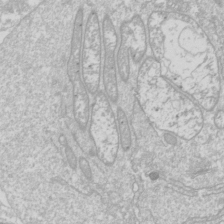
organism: Drosophila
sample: Cell division; meiosis; drosophila spermatocytes